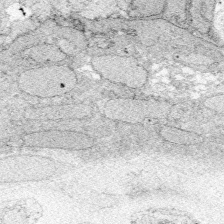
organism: Zebrafish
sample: Whole-Brain